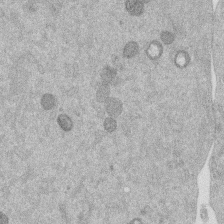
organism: Mouse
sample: Dividing mouse embryo 1 cell stage